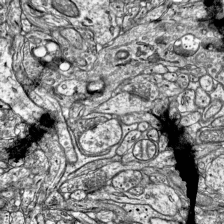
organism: Mouse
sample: Visual Cortex